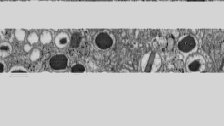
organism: C57BL Mouse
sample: Pancreatic islet